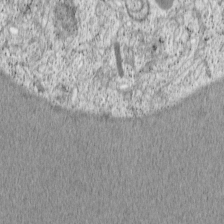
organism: African green monkey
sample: COS-7 cells